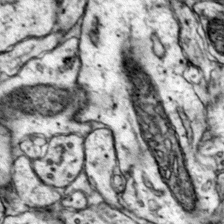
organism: Mouse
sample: Primary visual cortex